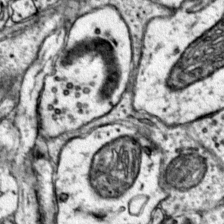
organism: Mouse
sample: Primary visual cortex